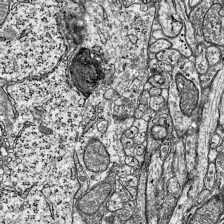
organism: Mouse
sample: Visual Cortex